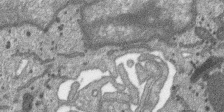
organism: Human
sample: Lung epithelial cells infected with SARS-CoV-2